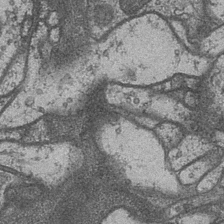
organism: Drosophila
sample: Optic medulla